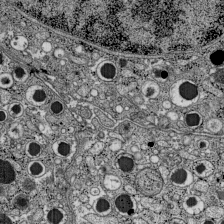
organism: C57BL Mouse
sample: Pancreatic islet